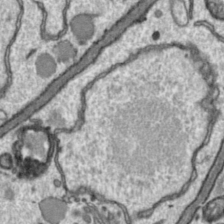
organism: Toxoplasma gondii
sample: Parasites in a vacuole inside a host cell